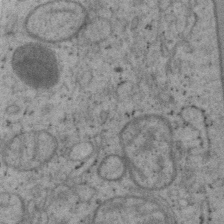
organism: Human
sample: HeLa cells